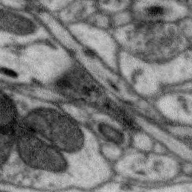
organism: Zebra finch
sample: Brain